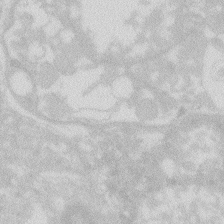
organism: Zebrafish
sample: Macrophage